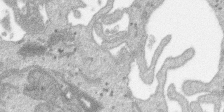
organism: Human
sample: Lung epithelial cells infected with SARS-CoV-2